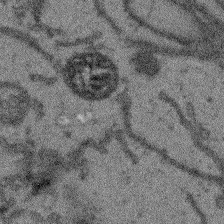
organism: Arabidopsis thaliana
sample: Root tip